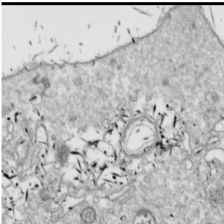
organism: Drosophila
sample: Cell division; meiosis; drosophila spermatocytes